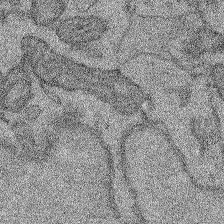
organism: Human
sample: HeLa cells